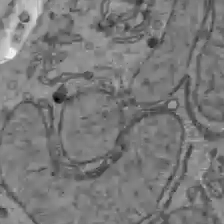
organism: C57BL Mouse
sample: Liver